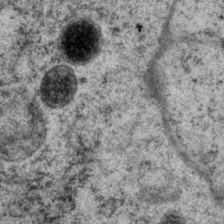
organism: P. pacificus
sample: Pharynx